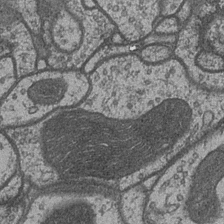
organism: Drosophila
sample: Optic medulla